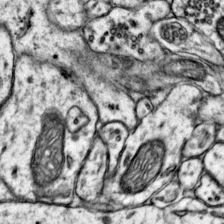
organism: Mouse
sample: Primary visual cortex